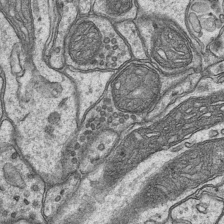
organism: Mouse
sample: CA1 Hippocampus